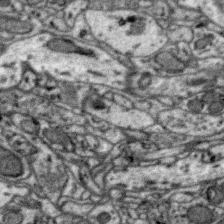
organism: Zebra finch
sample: Brain